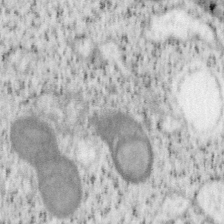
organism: Mouse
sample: OT-I killer T cells with ID8 ovarian cancer cells